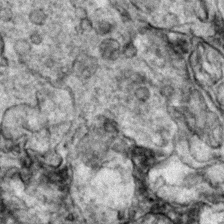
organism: Zebrafish